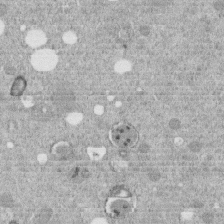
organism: C. elegans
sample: C. elegans embryo early stage